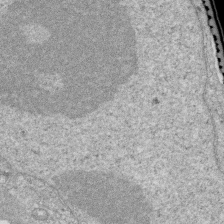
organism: Human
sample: HeLa cell HIV synapse